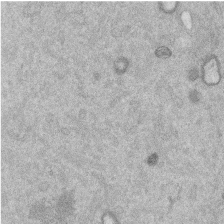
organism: Mouse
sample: Dividing mouse embryo 1 cell stage